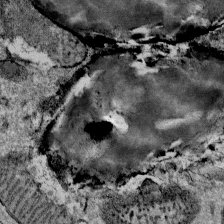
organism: Mouse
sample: Mouse Salivary gland